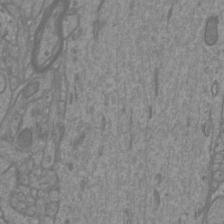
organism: Mouse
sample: Cortical neurons